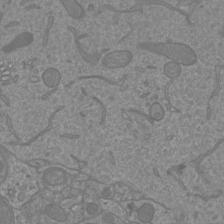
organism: Mouse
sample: Cortical neurons